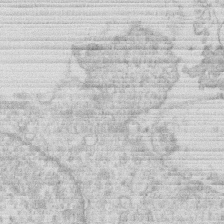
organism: Human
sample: Macrophage cells